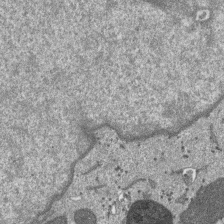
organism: Human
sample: Lung epithelial cells infected with SARS-CoV-2